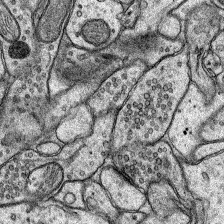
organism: Rat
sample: Hippocampus